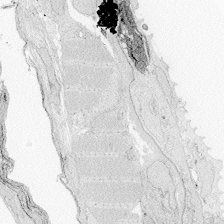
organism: Zebrafish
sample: Whole-Brain